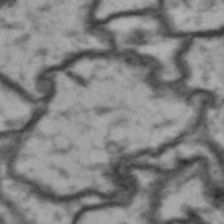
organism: Drosophila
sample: Brain